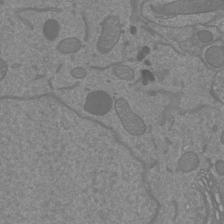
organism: Mouse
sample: Cortical neurons